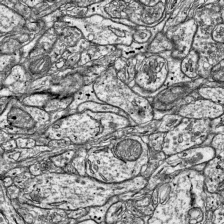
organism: Mouse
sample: Visual Cortex